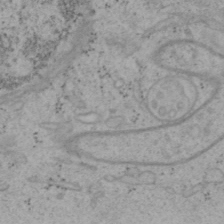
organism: Human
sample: HeLa cells